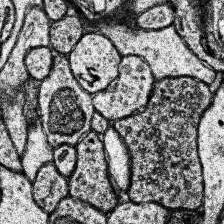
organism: Human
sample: Temporal Lobe